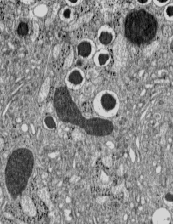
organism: C57BL Mouse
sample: Pancreatic islet